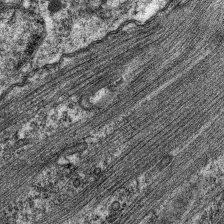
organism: C. elegans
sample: Pharynx